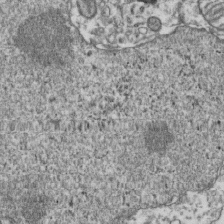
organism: Human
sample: Activated Jurkat CD4+ T cells